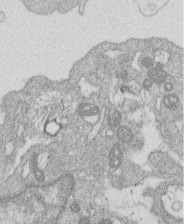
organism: Human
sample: Macrophage cells